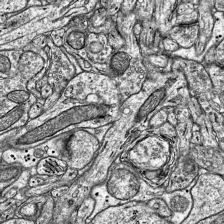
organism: Mouse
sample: Visual Cortex